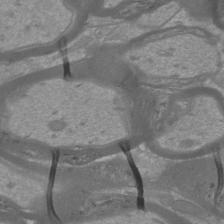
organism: Mouse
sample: Cortical neurons